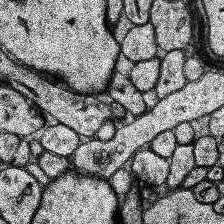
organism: Human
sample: Temporal Lobe